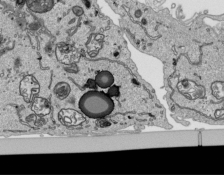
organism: Human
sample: Mitochondria in HCT116 cells